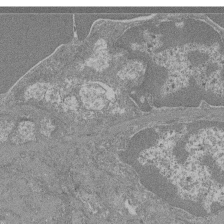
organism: Mouse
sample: Glomerulus